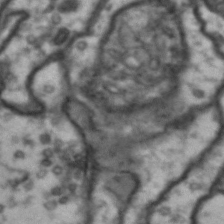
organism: Drosophila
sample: Brain